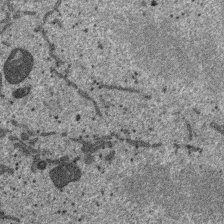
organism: Human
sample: Lung epithelial cells infected with SARS-CoV-2